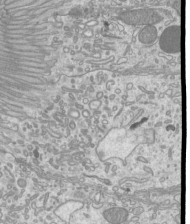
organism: Mouse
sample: Cilia; mouse epididymis